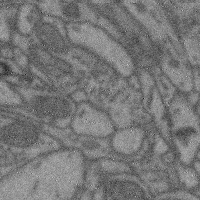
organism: Mouse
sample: Cerebral cortex